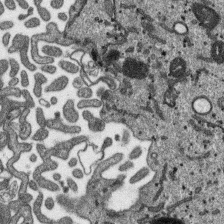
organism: Human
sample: Lung epithelial cells infected with SARS-CoV-2